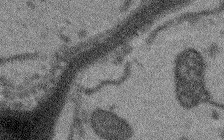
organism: Arabidopsis thaliana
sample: Root tip